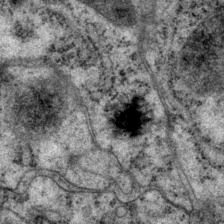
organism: P. pacificus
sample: Pharynx